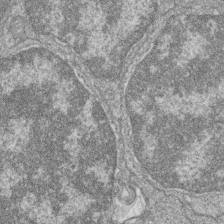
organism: Zebrafish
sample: Cilia; retinal pigment epithelium